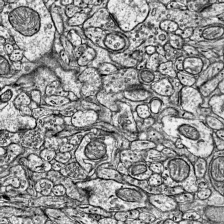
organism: Mouse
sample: Visual Cortex